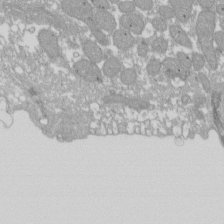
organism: Xenopus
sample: Cilia; centrioles in frog embryo cells